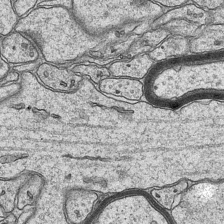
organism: Mouse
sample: CA1 Hippocampus